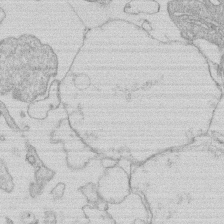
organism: Human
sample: Macrophage cells